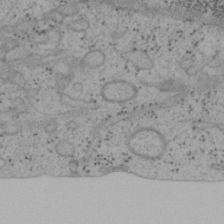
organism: Human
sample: HeLa cells